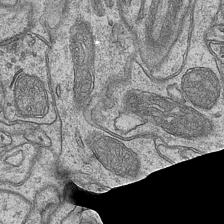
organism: Mouse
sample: CA1 Hippocampus